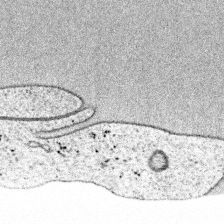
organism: Human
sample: HeLa cells